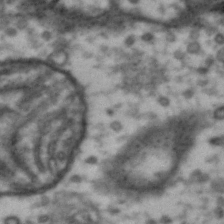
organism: Drosophila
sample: Brain